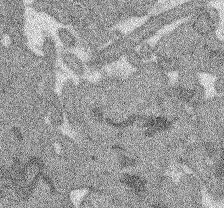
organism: Human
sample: HeLa cells